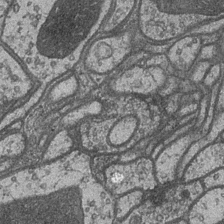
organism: Drosophila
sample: Optic medulla